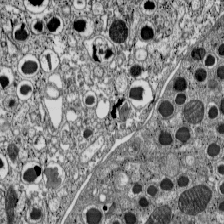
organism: C57BL Mouse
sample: Pancreatic islet